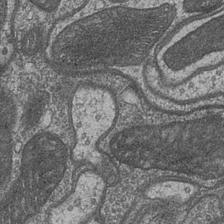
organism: Drosophila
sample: Optic medulla